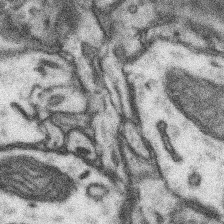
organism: Mouse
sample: Somatosensory cortex neuropil